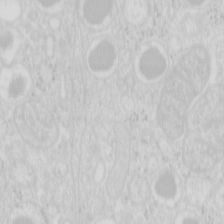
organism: Mouse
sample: Pancreas